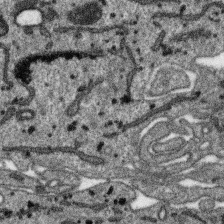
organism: Human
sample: Lung epithelial cells infected with SARS-CoV-2